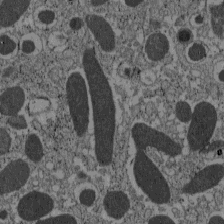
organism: C57BL Mouse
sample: Pancreatic islet